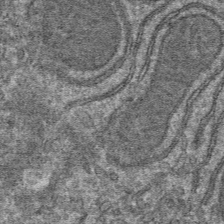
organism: Mouse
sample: Mouse hepatocytes